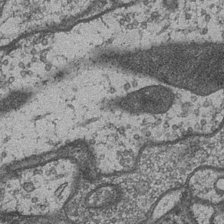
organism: Drosophila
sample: Optic medulla